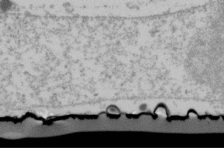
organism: Human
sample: U2-OS cells